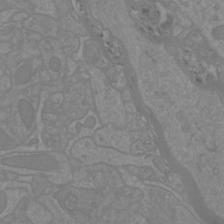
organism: Mouse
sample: Cortical neurons